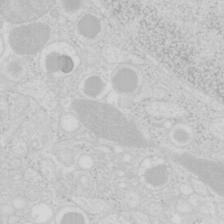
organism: Mouse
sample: Pancreas